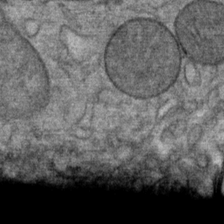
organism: Mouse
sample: Mouse Salivary gland